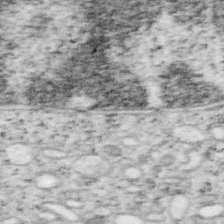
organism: Mouse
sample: OT-I killer T cells with ID8 ovarian cancer cells